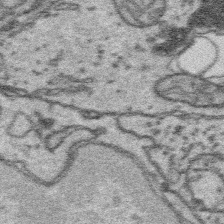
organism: Platynereis dumerilii